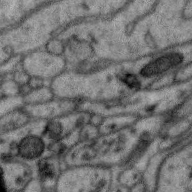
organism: Zebra finch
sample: Brain